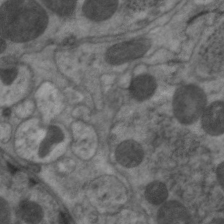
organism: C. elegans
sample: Pharynx